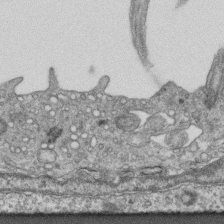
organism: Mouse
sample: Centriole in ependymal cells